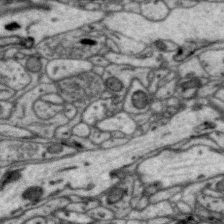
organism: Zebra finch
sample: Brain